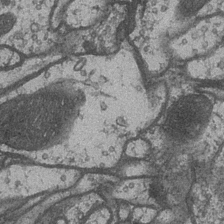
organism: Drosophila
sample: Optic medulla